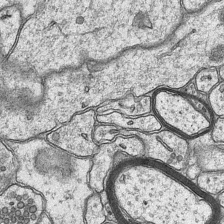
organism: Mouse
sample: CA1 Hippocampus